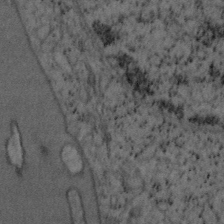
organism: Human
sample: HeLa cells